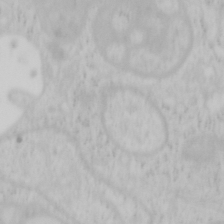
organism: Mouse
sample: OT-I killer T cells with ID8 ovarian cancer cells